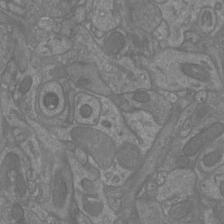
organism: Mouse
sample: Cortical neurons